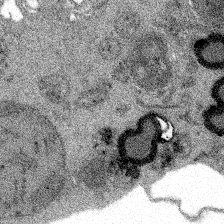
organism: Spongilla lacustris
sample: Multiple